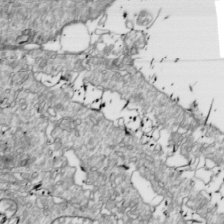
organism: Drosophila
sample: Cell division; meiosis; drosophila spermatocytes